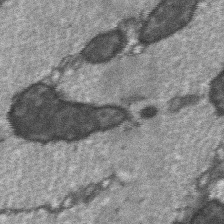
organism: C57BL Mouse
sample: Soleus